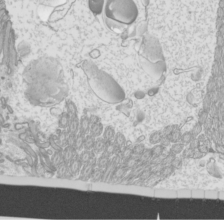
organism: Mouse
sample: Cilia; mouse epididymis